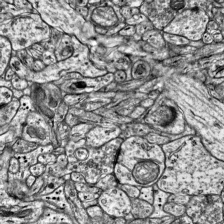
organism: Mouse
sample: Visual Cortex